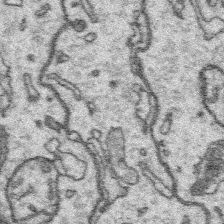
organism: Platynereis dumerilii